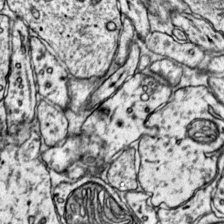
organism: Mouse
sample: Primary visual cortex